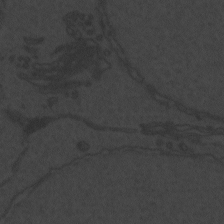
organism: Zebrafish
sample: Macrophage infected with Toxoplasma gondii